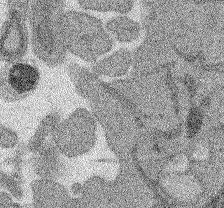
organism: Human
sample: HeLa cells